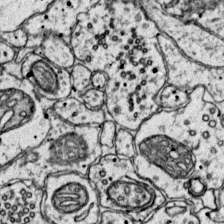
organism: Mouse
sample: Primary visual cortex